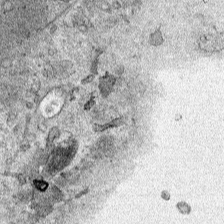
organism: Human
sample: Mitochondria in HCT116 cells